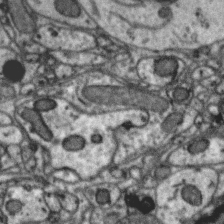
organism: Zebra finch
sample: Brain